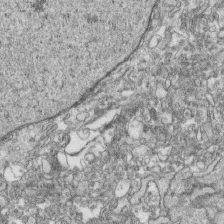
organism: Human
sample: CRL-1474